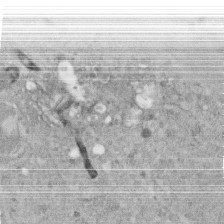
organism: Human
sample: Centriole in RPE cells